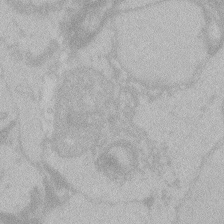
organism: Zebrafish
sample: Macrophage infected with Toxoplasma gondii